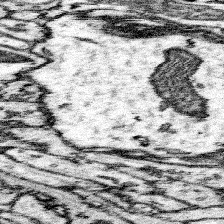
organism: Mouse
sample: Somatosensory cortex neuropil